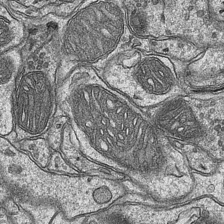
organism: Mouse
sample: CA1 Hippocampus